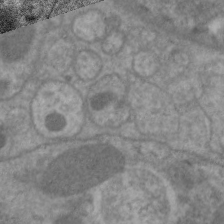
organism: C. elegans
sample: Pharynx